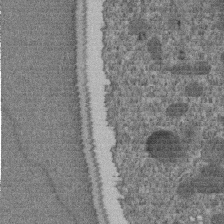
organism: C. elegans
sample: C. elegans embryo early stage